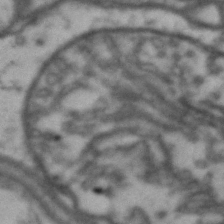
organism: Drosophila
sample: Brain